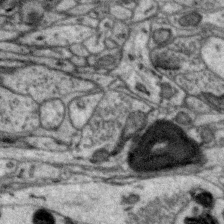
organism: Zebra finch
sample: Brain